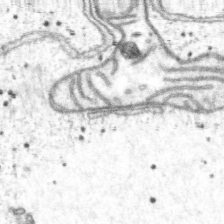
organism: Human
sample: HeLa cells